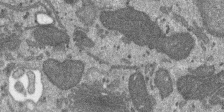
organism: Human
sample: Lung epithelial cells infected with SARS-CoV-2